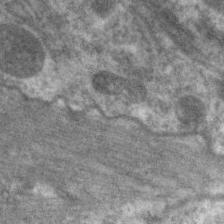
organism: C. elegans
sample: Pharynx